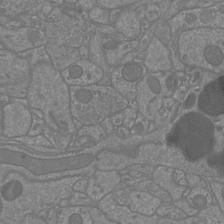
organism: Mouse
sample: Cortical neurons